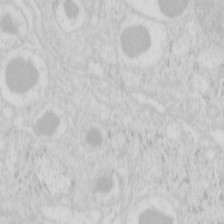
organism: Mouse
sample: Pancreas